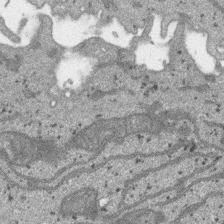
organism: Human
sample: Lung epithelial cells infected with SARS-CoV-2